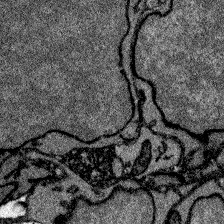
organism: Zebrafish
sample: Larval olfactory bulb